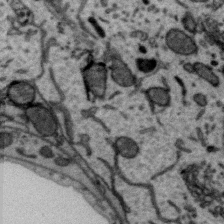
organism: Zebra finch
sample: Brain